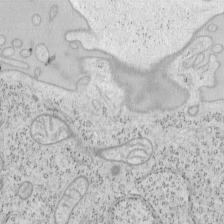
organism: Mouse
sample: OT-I killer T cells with ID8 ovarian cancer cells